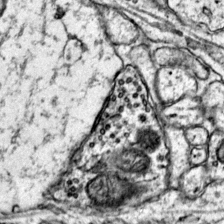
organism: Mouse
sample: Primary visual cortex